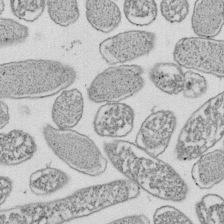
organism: E. coli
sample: Bacterial nucleoid